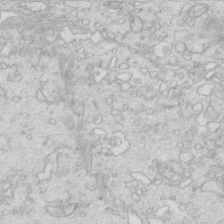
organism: Mouse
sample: Multiciliated cells